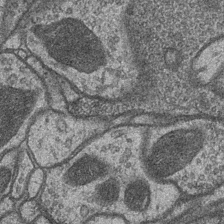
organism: Drosophila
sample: Optic medulla